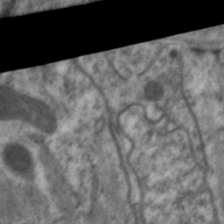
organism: C. elegans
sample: Pharynx